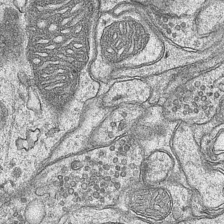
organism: Mouse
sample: CA1 Hippocampus